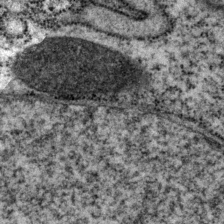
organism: P. pacificus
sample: Pharynx